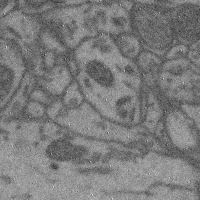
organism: Mouse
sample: Cerebral cortex